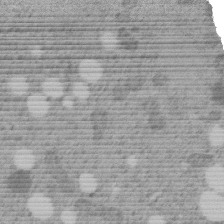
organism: C. elegans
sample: C. elegans embryo early stage